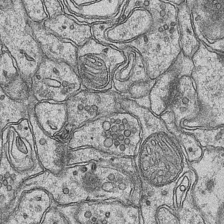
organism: Mouse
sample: CA1 Hippocampus